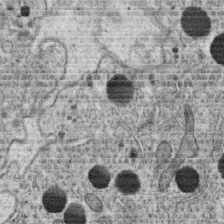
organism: C. elegans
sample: C. elegans oocyte; sperm cells